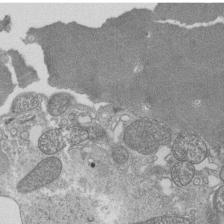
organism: Tetrahymena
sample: Cilia in tetrahymena